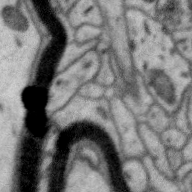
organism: Zebra finch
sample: Brain